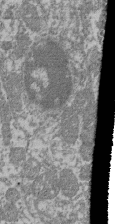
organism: Mouse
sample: Glomerulus